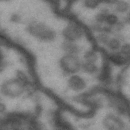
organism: Drosophila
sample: Brain